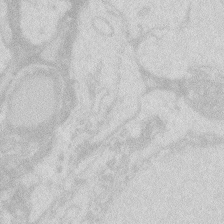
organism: Zebrafish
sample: Macrophage